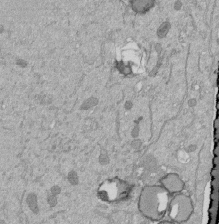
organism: Mouse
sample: ED-1 cell nuclei; centrioles